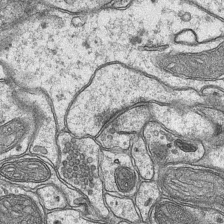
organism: Mouse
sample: CA1 Hippocampus